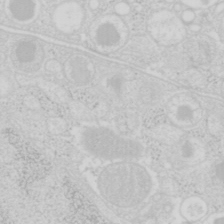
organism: Mouse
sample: Pancreas